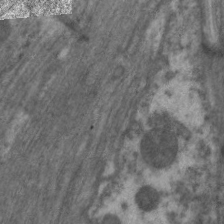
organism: C. elegans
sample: Pharynx